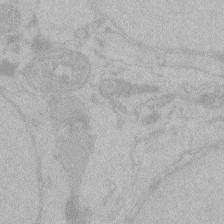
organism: Zebrafish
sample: Macrophage infected with Toxoplasma gondii